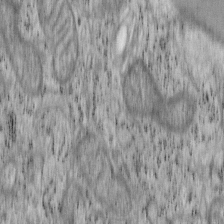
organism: Human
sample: HeLa cells